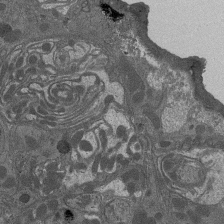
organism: Drosophila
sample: Antenna